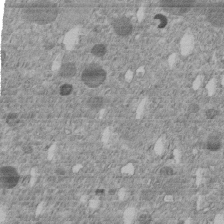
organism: C. elegans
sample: C. elegans embryo early stage